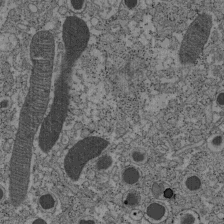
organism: C57BL Mouse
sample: Pancreatic islet